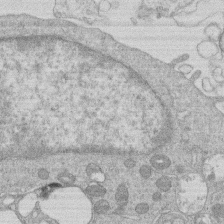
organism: Human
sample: Macrophage cells